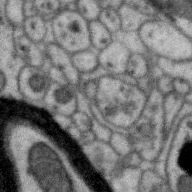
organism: Zebra finch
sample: Brain